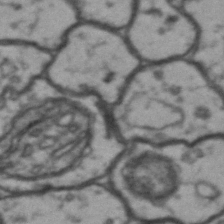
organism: Drosophila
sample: Brain